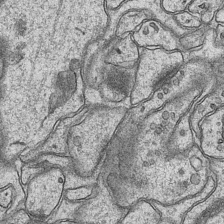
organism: Mouse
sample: CA1 Hippocampus